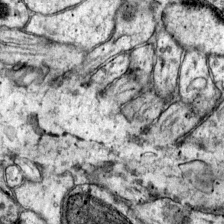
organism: Mouse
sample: Primary visual cortex